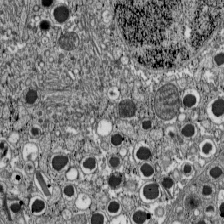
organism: C57BL Mouse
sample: Pancreatic islet